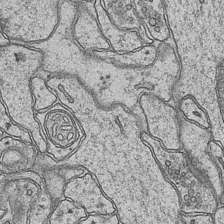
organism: Mouse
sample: CA1 Hippocampus